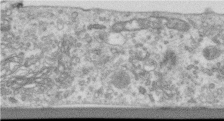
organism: Human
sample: Centriole in RPE cells